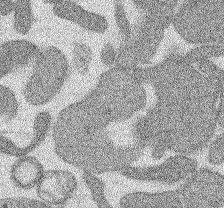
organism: Human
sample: HeLa cells